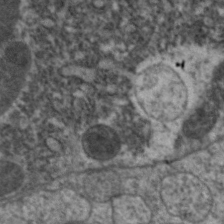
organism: C. elegans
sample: Pharynx